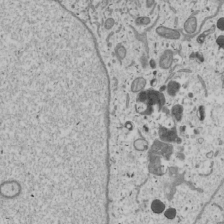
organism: Human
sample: Mitochondria in U2OS cells